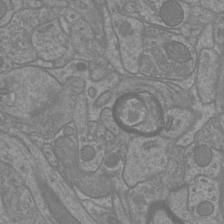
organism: Mouse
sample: Cortical neurons